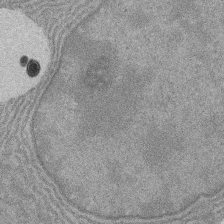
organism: Rat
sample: Salivary granule